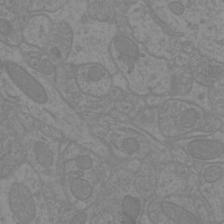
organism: Mouse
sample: Cortical neurons